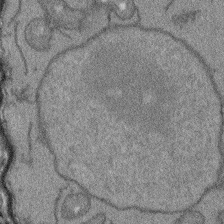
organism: Arabidopsis thaliana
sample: Root tip